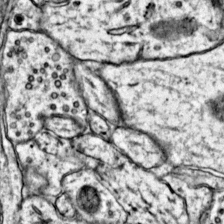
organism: Mouse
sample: Primary visual cortex